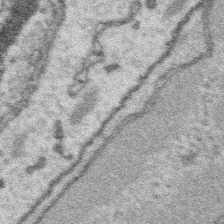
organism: Platynereis dumerilii